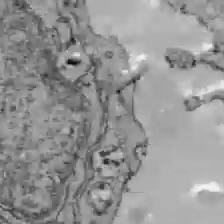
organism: C57BL Mouse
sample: Liver